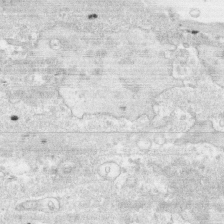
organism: Human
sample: CRL-1474